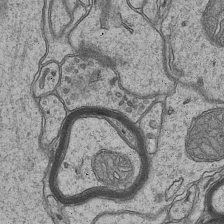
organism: Mouse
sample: CA1 Hippocampus